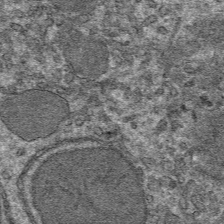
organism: Mouse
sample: Mouse hepatocytes